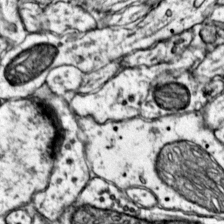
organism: Mouse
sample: Primary visual cortex